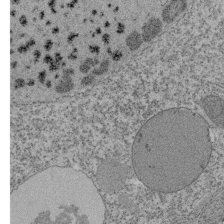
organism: Tetrahymena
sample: Cilia in tetrahymena